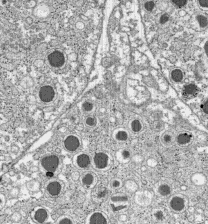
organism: C57BL Mouse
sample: Pancreatic islet